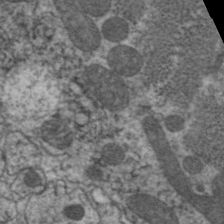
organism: C. elegans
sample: Pharynx